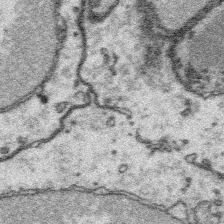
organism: Platynereis dumerilii